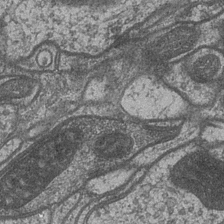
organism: Drosophila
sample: Optic medulla